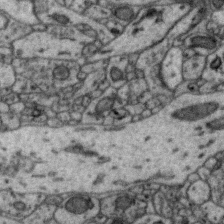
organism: Zebra finch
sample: Brain